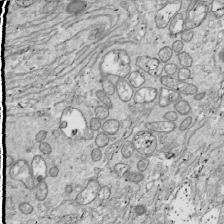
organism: Drosophila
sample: Cell division; meiosis; drosophila spermatocytes